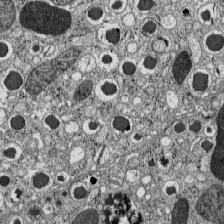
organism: C57BL Mouse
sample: Pancreatic islet